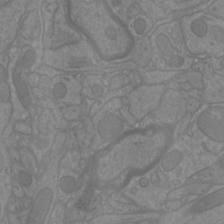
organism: Mouse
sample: Cortical neurons